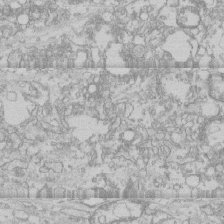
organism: Human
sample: CRL-1474